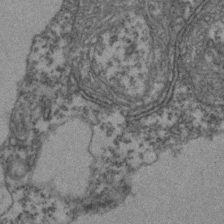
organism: Zebrafish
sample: Zebrafish embryo